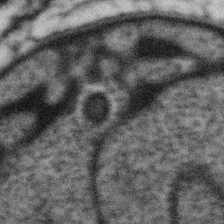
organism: Gemmata obscuriglobus